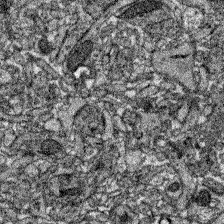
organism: Zebrafish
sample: Larval olfactory bulb